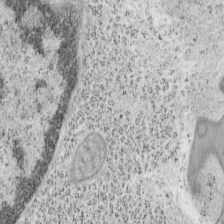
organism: Mouse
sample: OT-I killer T cells with ID8 ovarian cancer cells